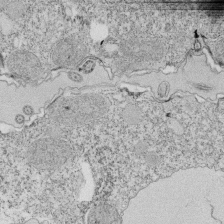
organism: Tetrahymena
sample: Cilia in tetrahymena